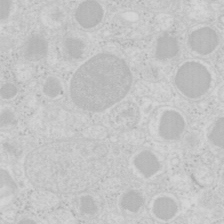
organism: Mouse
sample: Pancreas